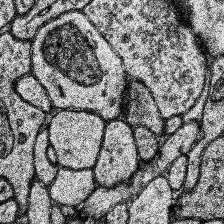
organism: Human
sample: Temporal Lobe